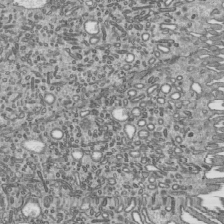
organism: Mouse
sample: Mouse epididymis efferent ductule cilia